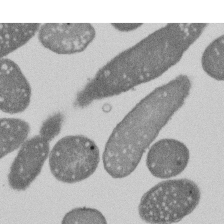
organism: E. coli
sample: Bacterial nucleoid